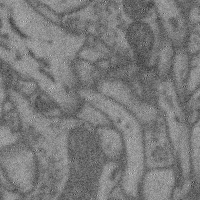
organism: Mouse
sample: Cerebral cortex